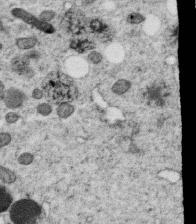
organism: C. elegans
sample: C. elegans oocyte; sperm cells